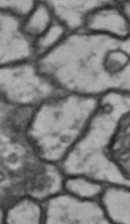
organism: Drosophila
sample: Brain